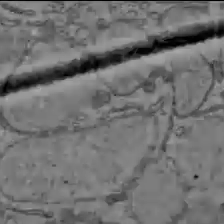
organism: C57BL Mouse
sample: Liver